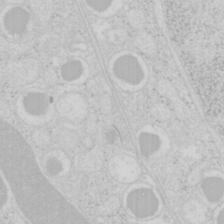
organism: Mouse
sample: Pancreas